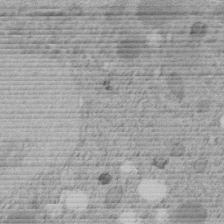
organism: C. elegans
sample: C. elegans embryo early stage